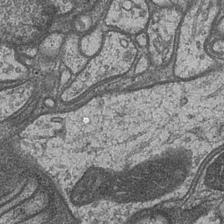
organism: Drosophila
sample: Optic medulla